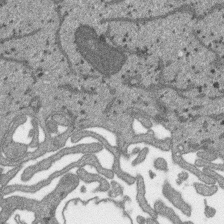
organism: Human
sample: Lung epithelial cells infected with SARS-CoV-2